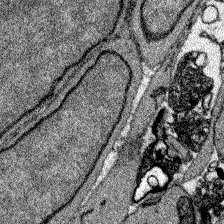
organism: Zebrafish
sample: Larval olfactory bulb